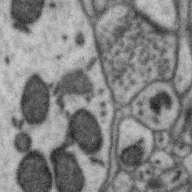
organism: Zebra finch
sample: Brain